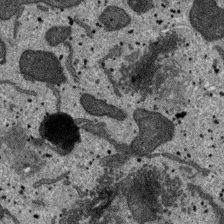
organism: Human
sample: Lung epithelial cells, uninfected (mock) control